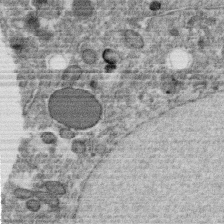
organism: C. elegans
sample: C. elegans oocyte; sperm cells